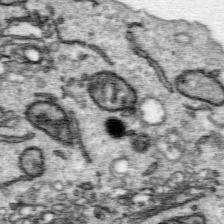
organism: Human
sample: HeLa cells